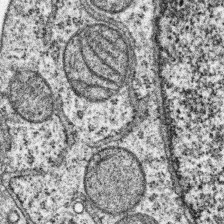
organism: Human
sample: HeLa cells